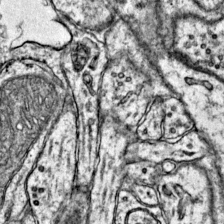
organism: Mouse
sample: Primary visual cortex